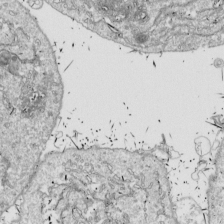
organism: Drosophila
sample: Cell division; meiosis; drosophila spermatocytes